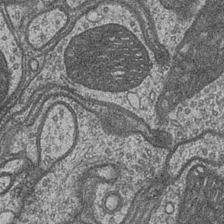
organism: Drosophila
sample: Optic medulla